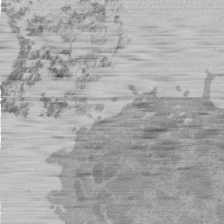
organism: Mouse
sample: Activated Pmel transgenic CD8+ T Cells